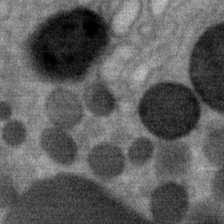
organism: Mouse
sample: Mouse Salivary gland